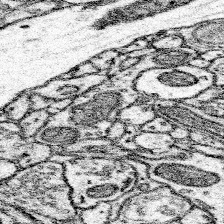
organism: Mouse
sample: Somatosensory cortex neuropil